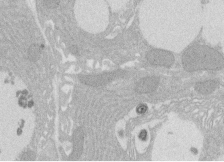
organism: Rat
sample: Salivary granule